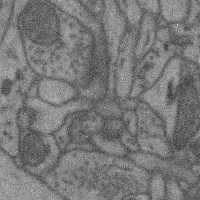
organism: Mouse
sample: Cerebral cortex